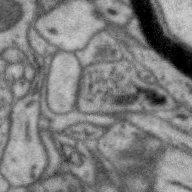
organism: Zebra finch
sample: Brain